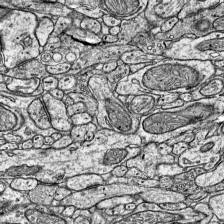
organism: Mouse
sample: Visual Cortex